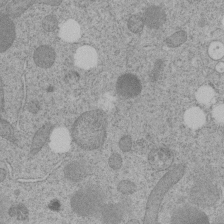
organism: C. elegans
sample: C. elegans embryo early stage